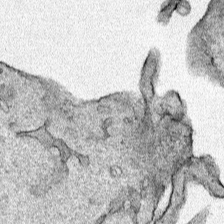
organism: Human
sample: Mitochondria in HCT116 cells